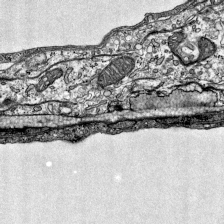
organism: Mouse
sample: Visual Cortex